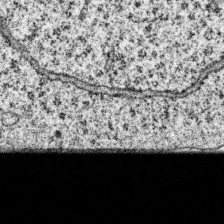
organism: Human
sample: HeLa cells